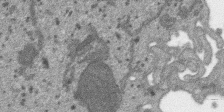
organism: Human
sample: Lung epithelial cells infected with SARS-CoV-2